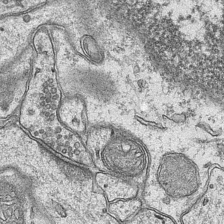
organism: Mouse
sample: CA1 Hippocampus